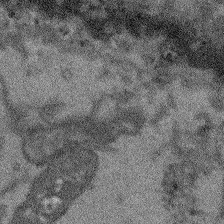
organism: Arabidopsis thaliana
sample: Root tip